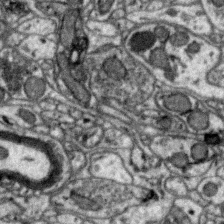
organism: Zebra finch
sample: Brain